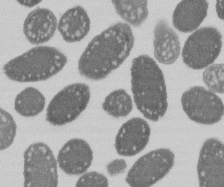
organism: E. coli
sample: Bacterial nucleoid